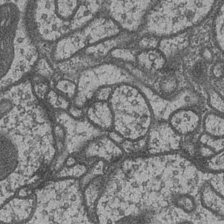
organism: Drosophila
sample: Optic medulla